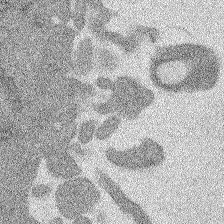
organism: Human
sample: HeLa cells